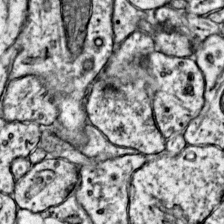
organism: Mouse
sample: Primary visual cortex